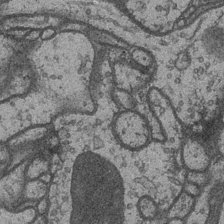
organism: Drosophila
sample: Optic medulla